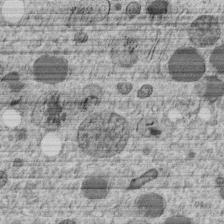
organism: C. elegans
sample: C. elegans embryo early stage